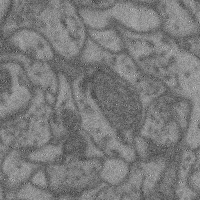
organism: Mouse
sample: Cerebral cortex